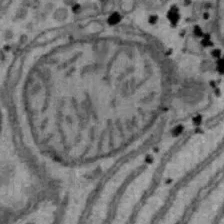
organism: Mouse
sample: Liver